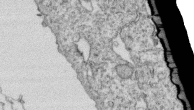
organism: Human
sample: HeLa cell HIV synapse